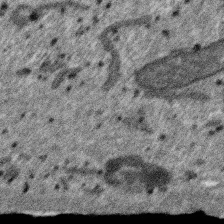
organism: Human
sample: Lung epithelial cells infected with SARS-CoV-2